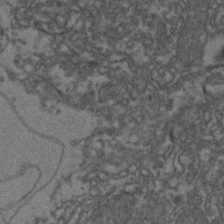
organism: Zebrafish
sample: Zebrafish embryo